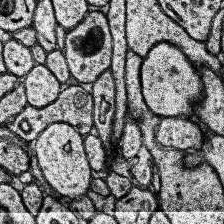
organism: Human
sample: Temporal Lobe